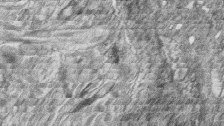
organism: Zebrafish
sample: synaptic ribbons in rod cells and cone cells